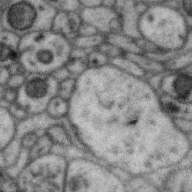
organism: Zebra finch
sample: Brain